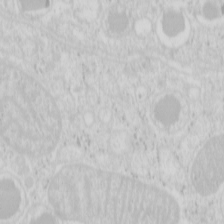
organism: Mouse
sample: Pancreas